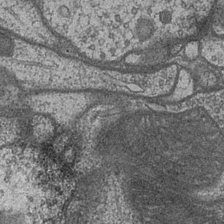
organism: Drosophila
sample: Optic medulla